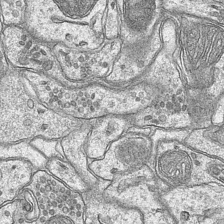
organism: Mouse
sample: CA1 Hippocampus